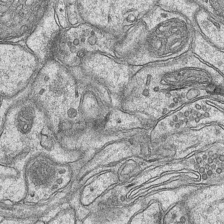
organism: Mouse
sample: CA1 Hippocampus